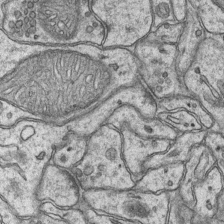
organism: Mouse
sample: CA1 Hippocampus